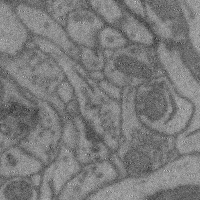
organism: Mouse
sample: Cerebral cortex